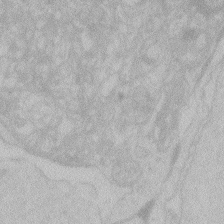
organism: Zebrafish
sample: Macrophage infected with Toxoplasma gondii